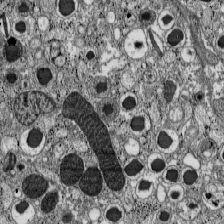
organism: C57BL Mouse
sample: Pancreatic islet